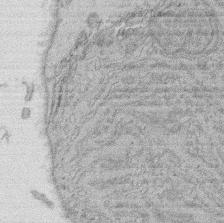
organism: Rat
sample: Salivary granule